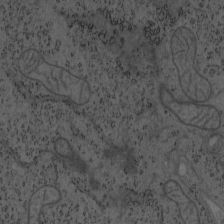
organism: Mouse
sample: OT-I killer T cells with ID8 ovarian cancer cells